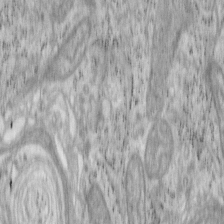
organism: Human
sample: HeLa cells